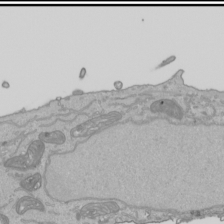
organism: Human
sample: Mitochondria in HCT116 cells